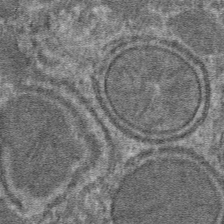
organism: Mouse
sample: Mouse hepatocytes